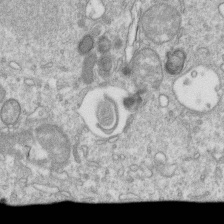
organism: Mouse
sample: Activated OT-1 CD8+ T cells